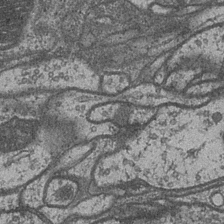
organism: Drosophila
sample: Optic medulla